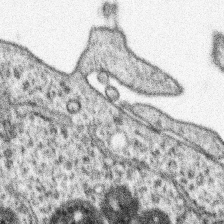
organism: Human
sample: HeLa cells